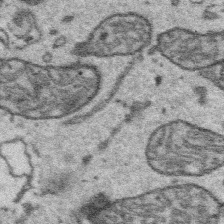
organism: Platynereis dumerilii